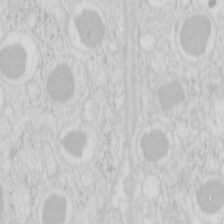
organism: Mouse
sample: Pancreas